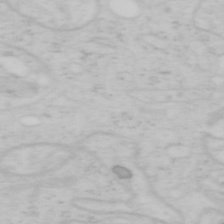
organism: Mouse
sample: OT-I killer T cells with ID8 ovarian cancer cells